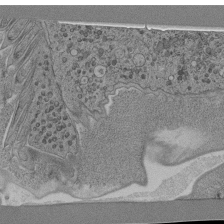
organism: C. elegans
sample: C. elegans pharynx